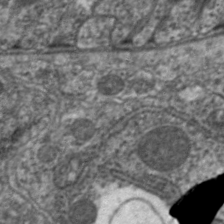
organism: C. elegans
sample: Pharynx